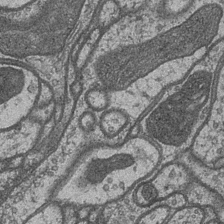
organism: Drosophila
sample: Optic medulla